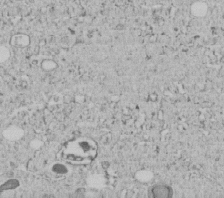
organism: C. elegans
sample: C. elegans embryo early stage